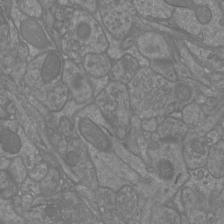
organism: Mouse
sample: Cortical neurons